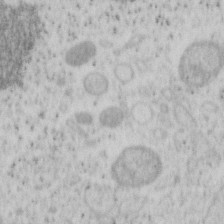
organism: Human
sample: HeLa cells